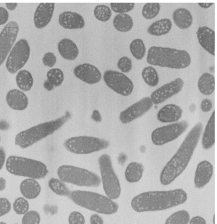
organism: E. coli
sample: Bacterial nucleoid